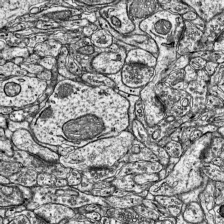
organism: Mouse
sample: Visual Cortex